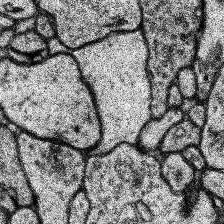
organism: Human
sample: Temporal Lobe